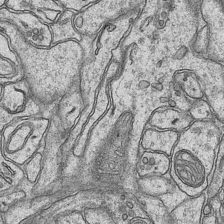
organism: Mouse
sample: CA1 Hippocampus